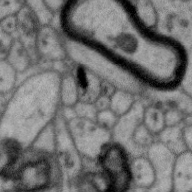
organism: Zebra finch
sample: Brain